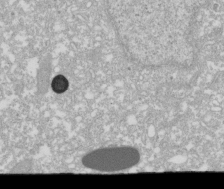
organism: Xenopus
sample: Cilia; centrioles in frog embryo cells